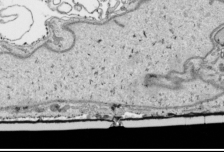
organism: Human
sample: Mitochondria in HCT116 cells